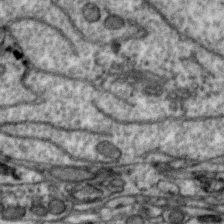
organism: Zebra finch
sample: Brain